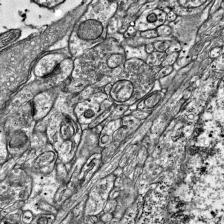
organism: Mouse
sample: Visual Cortex